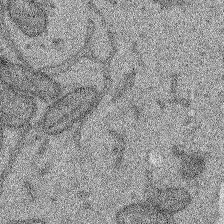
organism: Human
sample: HeLa cells